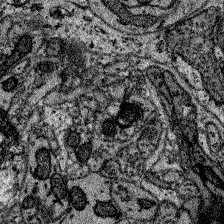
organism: Zebrafish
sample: Larval olfactory bulb